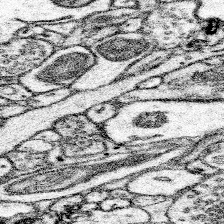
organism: Mouse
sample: Somatosensory cortex neuropil